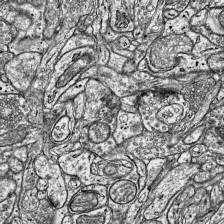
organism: Mouse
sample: Visual Cortex